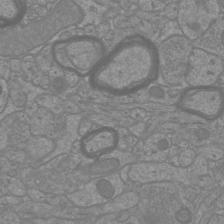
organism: Mouse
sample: Cortical neurons